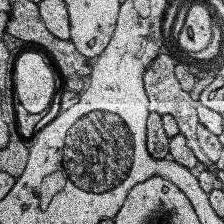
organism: Human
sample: Temporal Lobe